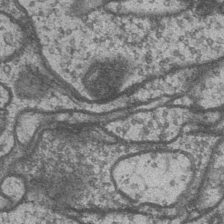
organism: Drosophila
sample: Optic medulla